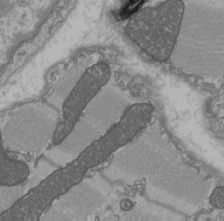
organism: C57BL Mouse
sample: Heart